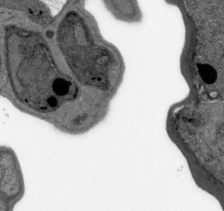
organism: Plasmodium falciparum